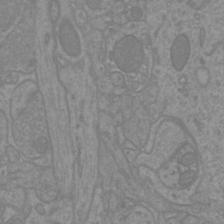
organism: Mouse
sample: Cortical neurons